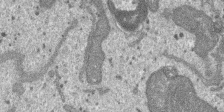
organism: Human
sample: Lung epithelial cells infected with SARS-CoV-2